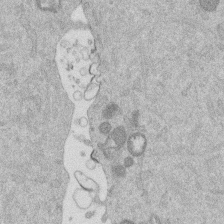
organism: Mouse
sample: Dividing mouse embryo 1 cell stage